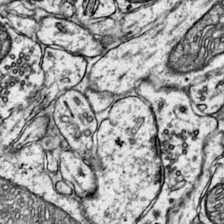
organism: Mouse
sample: Primary visual cortex